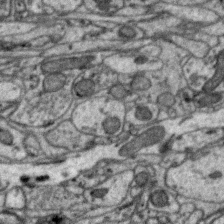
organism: Zebra finch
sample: Brain